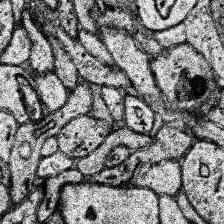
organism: Human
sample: Temporal Lobe